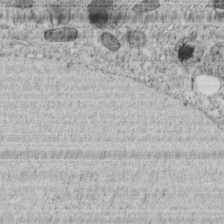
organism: C. elegans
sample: C. elegans embryo early stage